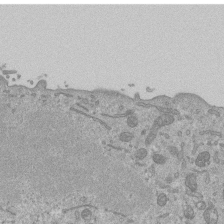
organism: Mouse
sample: ED-1 cell nuclei; centrioles